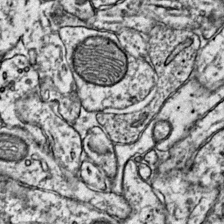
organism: Mouse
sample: Primary visual cortex